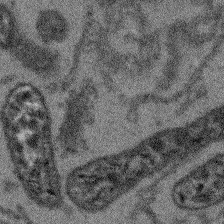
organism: Arabidopsis thaliana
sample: Root tip